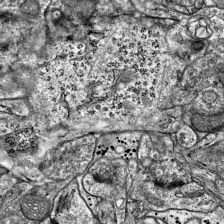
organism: Mouse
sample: Visual Cortex